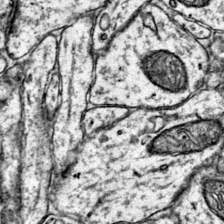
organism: Mouse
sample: Primary visual cortex